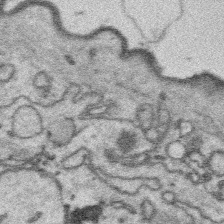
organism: Platynereis dumerilii